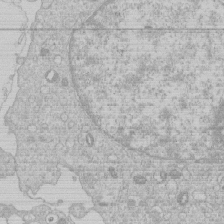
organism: Human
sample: Macrophage cells